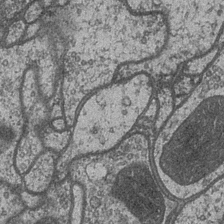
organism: Drosophila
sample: Optic medulla